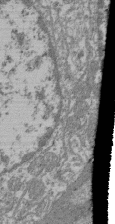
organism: Mouse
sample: Glomerulus